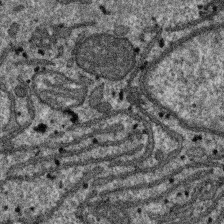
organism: Human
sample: Lung epithelial cells infected with SARS-CoV-2